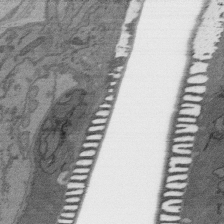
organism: C. elegans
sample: AFD neurons C. elegans